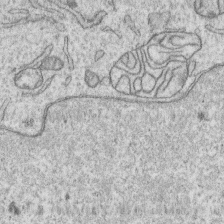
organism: Human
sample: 1205lu cells